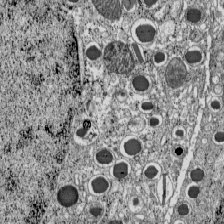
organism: C57BL Mouse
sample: Pancreatic islet